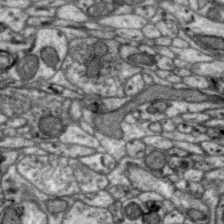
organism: Zebra finch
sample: Brain